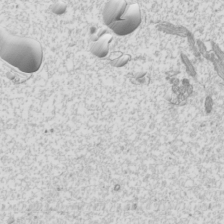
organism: Mouse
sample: Cilia; mouse epididymis